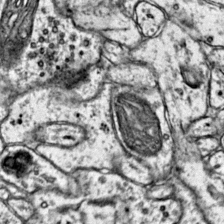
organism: Mouse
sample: Primary visual cortex